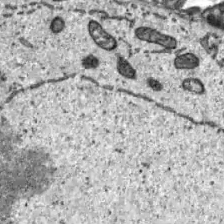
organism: Human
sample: HeLa cells